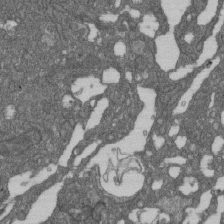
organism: Drosophila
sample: Nephrocyte